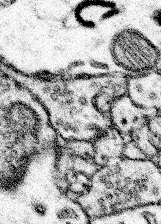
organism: Mouse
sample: Somatosensory cortex neuropil